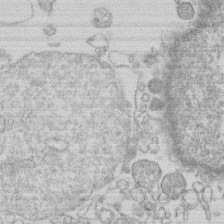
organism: Human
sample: Macrophage cells